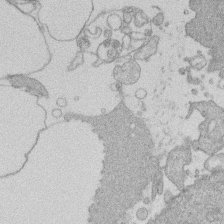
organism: Human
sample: Macrophage cells